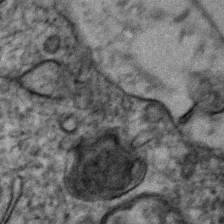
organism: Human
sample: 1205lu cells